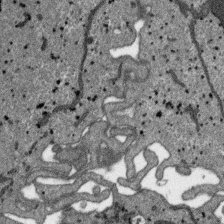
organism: Human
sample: Lung epithelial cells, uninfected (mock) control